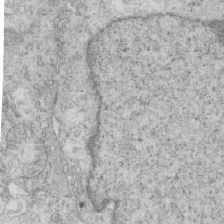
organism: Mouse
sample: Multiciliated cells